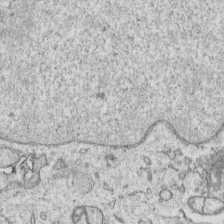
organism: Human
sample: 1205lu cells